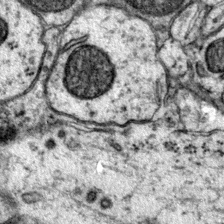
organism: Mouse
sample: Primary visual cortex